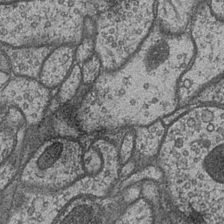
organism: Drosophila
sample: Optic medulla